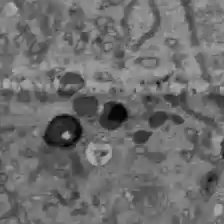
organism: C57BL Mouse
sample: Liver